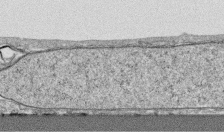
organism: Human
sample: CRL-1474